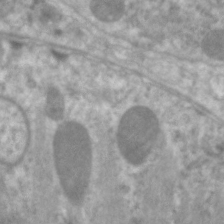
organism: C. elegans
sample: Pharynx